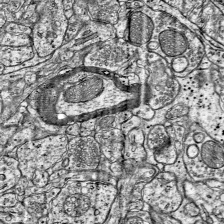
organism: Mouse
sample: Visual Cortex